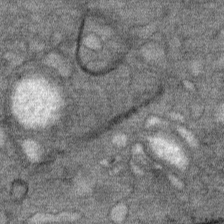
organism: Mouse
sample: Mouse Salivary gland